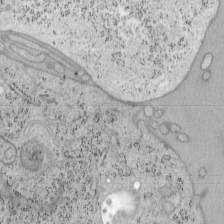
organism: Mouse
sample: OT-I killer T cells with ID8 ovarian cancer cells